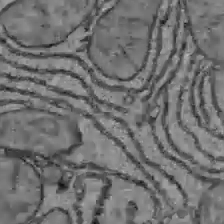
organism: C57BL Mouse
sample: Liver